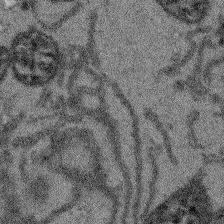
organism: Arabidopsis thaliana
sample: Root tip